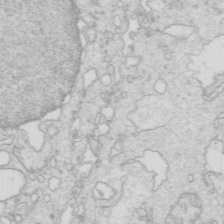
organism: Mouse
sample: Multiciliated cells